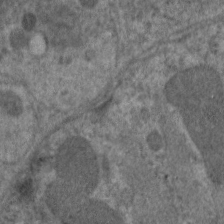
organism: C. elegans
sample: Pharynx